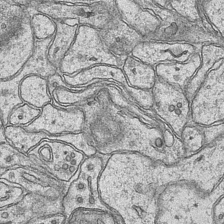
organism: Mouse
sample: CA1 Hippocampus